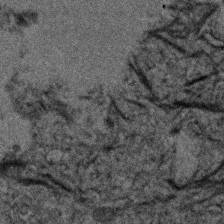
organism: Human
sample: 1205lu cells